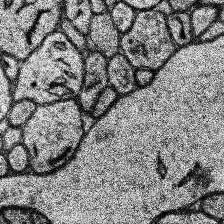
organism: Human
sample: Temporal Lobe